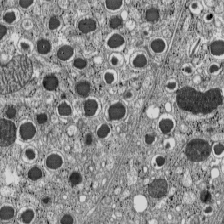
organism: C57BL Mouse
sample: Pancreatic islet